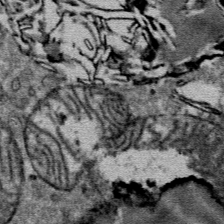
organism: Mouse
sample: Mouse Salivary gland